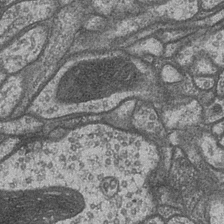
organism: Drosophila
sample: Optic medulla